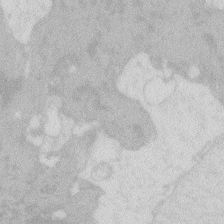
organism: Zebrafish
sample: Macrophage